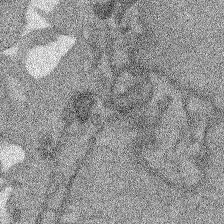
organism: Human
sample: HeLa cells